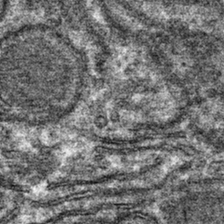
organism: Mouse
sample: Mouse hepatocytes